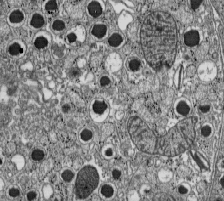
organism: C57BL Mouse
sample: Pancreatic islet